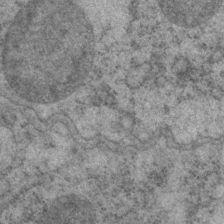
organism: P. pacificus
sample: Pharynx